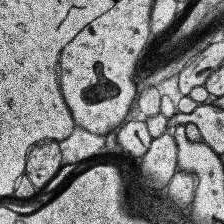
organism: Human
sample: Temporal Lobe